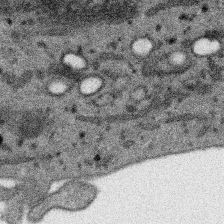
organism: Human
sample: Lung epithelial cells infected with SARS-CoV-2